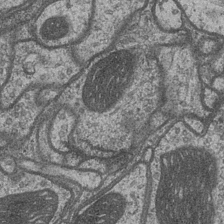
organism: Drosophila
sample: Optic medulla